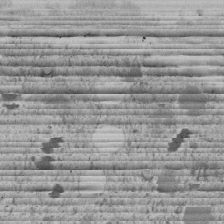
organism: C. elegans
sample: C. elegans embryo early stage